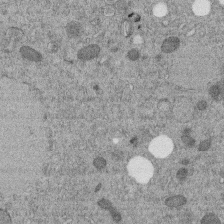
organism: C. elegans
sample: C. elegans embryo early stage